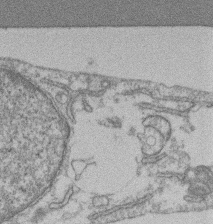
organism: Mouse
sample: T cell stromal cell synapse